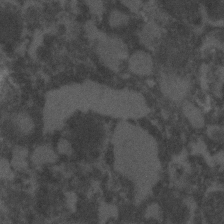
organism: C. elegans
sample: C. elegans embryo